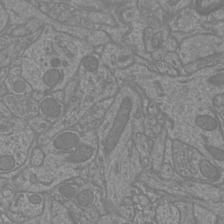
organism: Mouse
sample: Cortical neurons